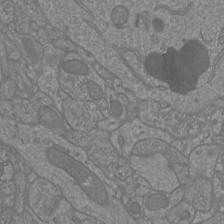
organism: Mouse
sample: Cortical neurons